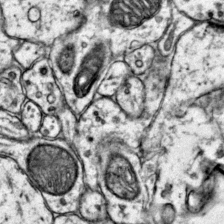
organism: Mouse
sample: Primary visual cortex